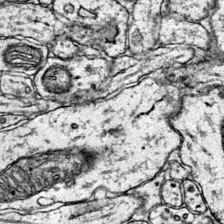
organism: Mouse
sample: Primary visual cortex